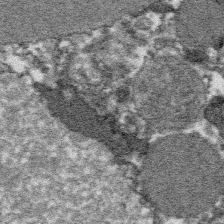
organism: Platynereis dumerilii